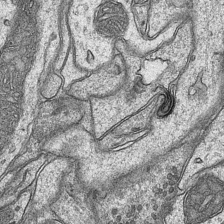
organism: Mouse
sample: CA1 Hippocampus